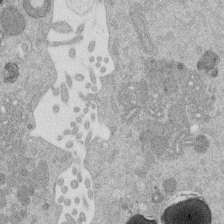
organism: Mouse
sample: Dividing mouse embryo 1 cell stage